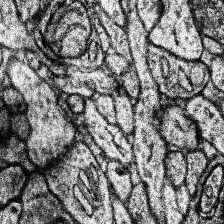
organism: Human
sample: Temporal Lobe